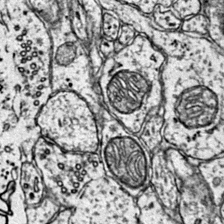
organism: Mouse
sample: Primary visual cortex